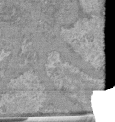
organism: Mouse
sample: Glomerulus